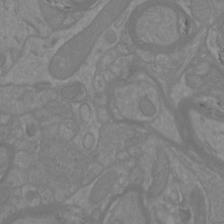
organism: Mouse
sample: Cortical neurons